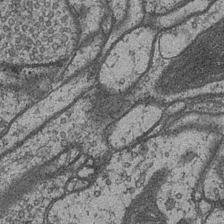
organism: Drosophila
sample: Optic medulla